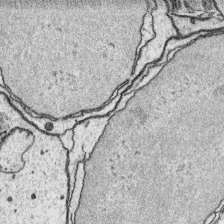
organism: Platynereis dumerilii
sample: Parapodia